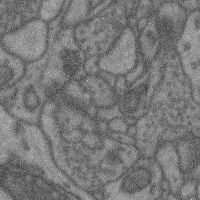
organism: Mouse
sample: Cerebral cortex